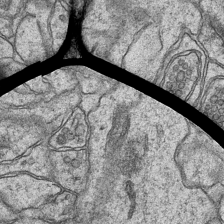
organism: Mouse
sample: CA1 Hippocampus